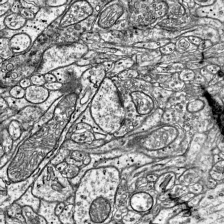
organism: Mouse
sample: Visual Cortex